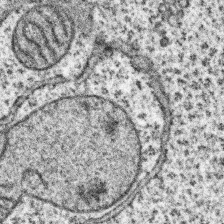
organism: Human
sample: HeLa cells